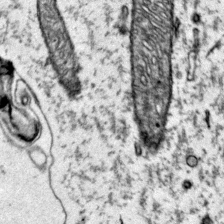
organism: Mouse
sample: Primary visual cortex